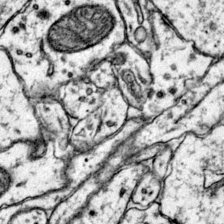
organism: Mouse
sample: Primary visual cortex